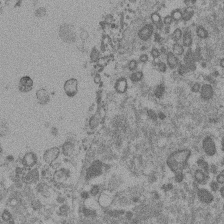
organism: Mouse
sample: Dividing mouse embryo 1 cell stage